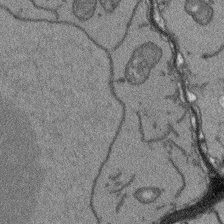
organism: Arabidopsis thaliana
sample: Root tip